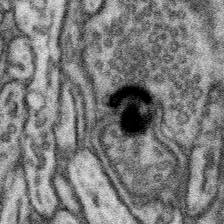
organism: Mouse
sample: Somatosensory cortex neuropil